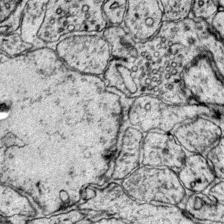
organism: Mouse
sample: Primary visual cortex